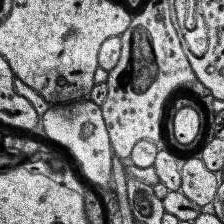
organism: Human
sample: Temporal Lobe